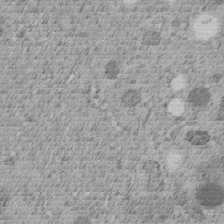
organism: C. elegans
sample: C. elegans embryo early stage